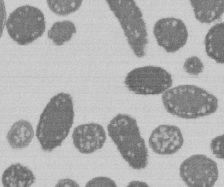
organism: E. coli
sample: Bacterial nucleoid